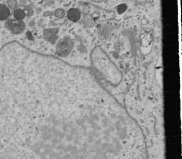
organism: Human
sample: Mitochondria in U2OS cells